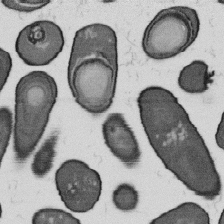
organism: B. subtilis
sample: Bacterial spore